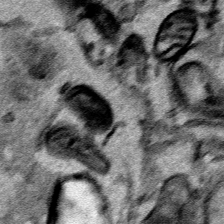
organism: Human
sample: Mitochondria in HCT116 cells